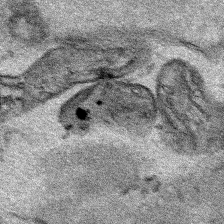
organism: Human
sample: Mitochondria in HCT116 cells